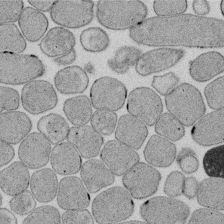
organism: E. coli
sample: Bacterial nucleoid